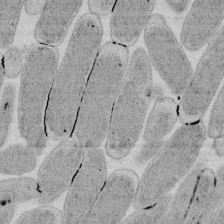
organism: E. coli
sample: Bacterial nucleoid